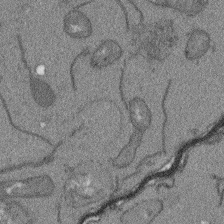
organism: Arabidopsis thaliana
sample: Root tip